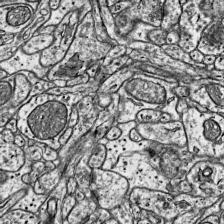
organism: Mouse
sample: Visual Cortex